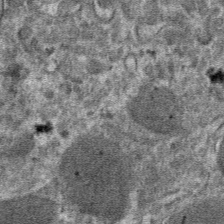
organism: Mouse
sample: Mouse hepatocytes